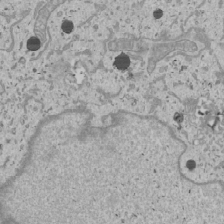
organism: Human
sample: Mitochondria in U2OS cells